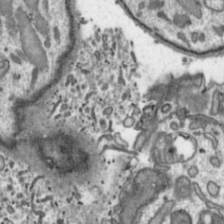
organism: Toxoplasma gondii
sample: Parasites in a vacuole inside a host cell